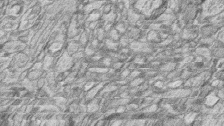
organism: Zebrafish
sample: synaptic ribbons in rod cells and cone cells